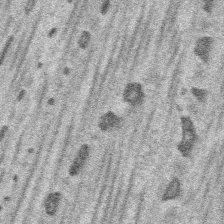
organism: Platynereis dumerilii